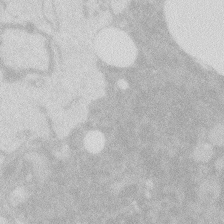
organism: Zebrafish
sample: Macrophage